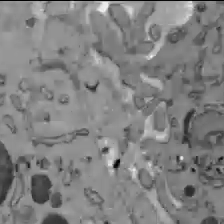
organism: C57BL Mouse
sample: Liver